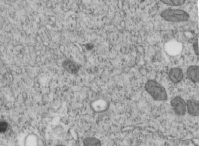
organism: C. elegans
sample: C. elegans embryo early stage